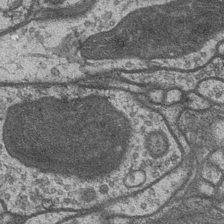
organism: Drosophila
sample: Optic medulla